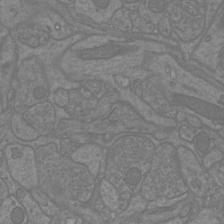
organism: Mouse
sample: Cortical neurons